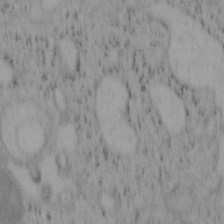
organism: Mouse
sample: OT-I killer T cells with ID8 ovarian cancer cells